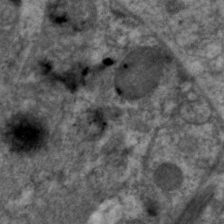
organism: C. elegans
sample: Pharynx